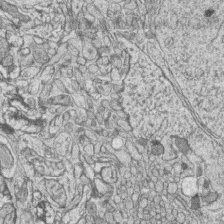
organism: Zebrafish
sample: synaptic ribbons in rod cells and cone cells